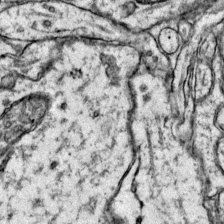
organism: Mouse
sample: Primary visual cortex